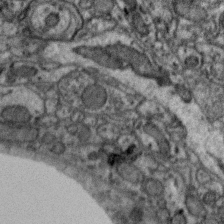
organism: Zebra finch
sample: Brain